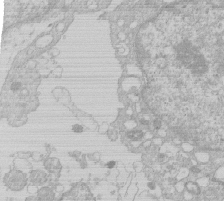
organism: Human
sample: Macrophage cells